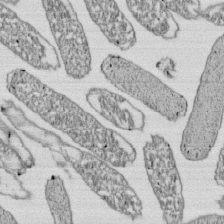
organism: E. coli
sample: Bacterial nucleoid